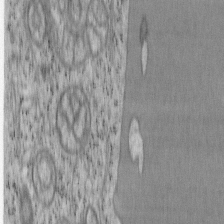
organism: Human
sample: HeLa cells